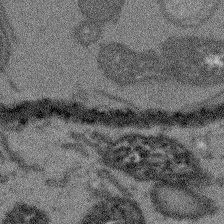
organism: Arabidopsis thaliana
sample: Root tip